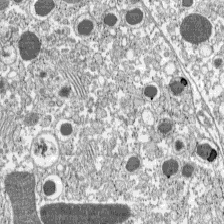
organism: C57BL Mouse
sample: Pancreatic islet